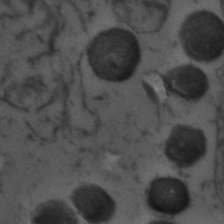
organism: Zebrafish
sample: Zebrafish embryo